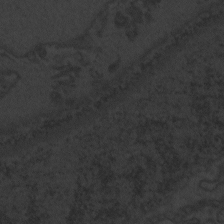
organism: Zebrafish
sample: Macrophage infected with Toxoplasma gondii